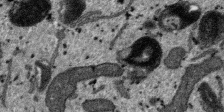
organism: Human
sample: Lung epithelial cells, uninfected (mock) control